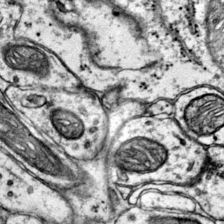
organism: Mouse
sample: Primary visual cortex